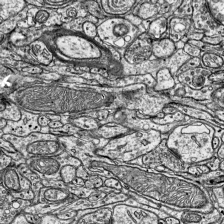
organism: Mouse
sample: Visual Cortex